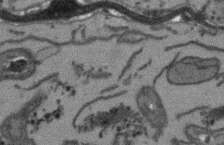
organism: Arabidopsis thaliana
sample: Root tip